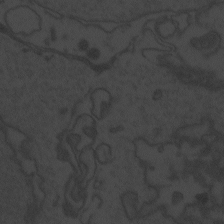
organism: Zebrafish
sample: Macrophage infected with Toxoplasma gondii